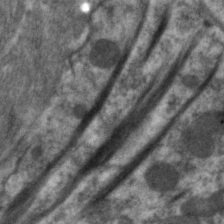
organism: C. elegans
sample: Pharynx